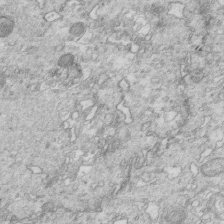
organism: Mouse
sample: Multiciliated cells